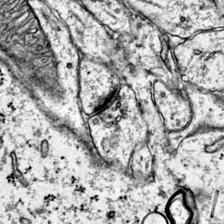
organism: Mouse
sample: Primary visual cortex